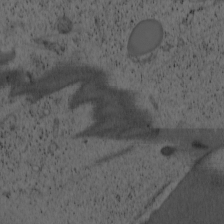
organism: African green monkey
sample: COS-7 cells